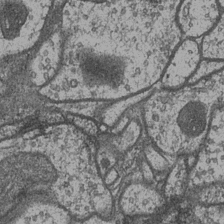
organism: Drosophila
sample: Optic medulla